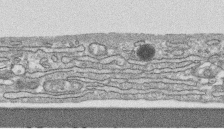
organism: Human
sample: CRL-1474